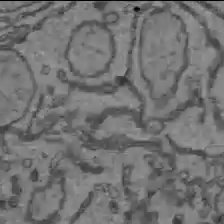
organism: C57BL Mouse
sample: Liver